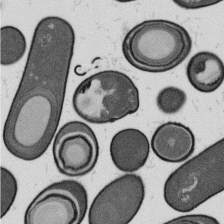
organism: B. subtilis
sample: Bacterial spore